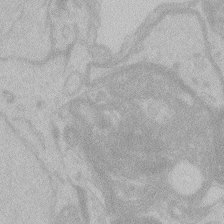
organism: Zebrafish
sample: Macrophage infected with Toxoplasma gondii